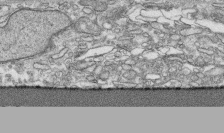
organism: Human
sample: CRL-1474